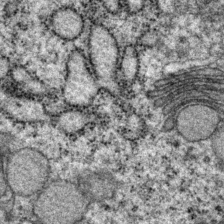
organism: P. pacificus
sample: Pharynx